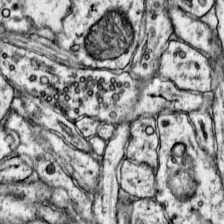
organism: Mouse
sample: Primary visual cortex